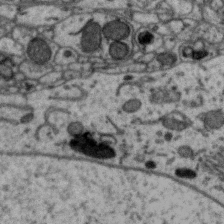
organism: Zebra finch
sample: Brain